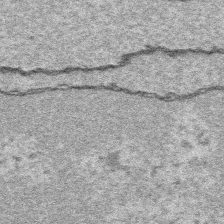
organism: Platynereis dumerilii